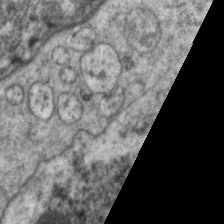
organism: C. elegans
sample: Pharynx